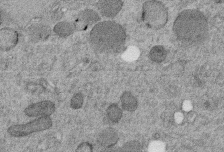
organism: C. elegans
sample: C. elegans embryo early stage